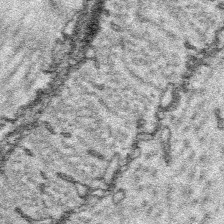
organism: Platynereis dumerilii